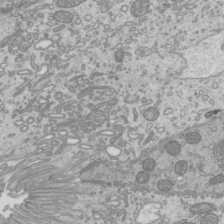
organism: Mouse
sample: Cilia; mouse epididymis